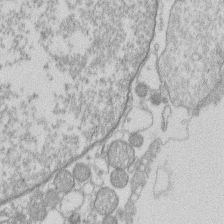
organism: Human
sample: Macrophage cells